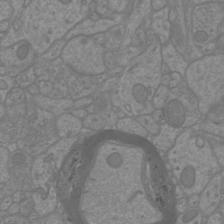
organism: Mouse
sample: Cortical neurons